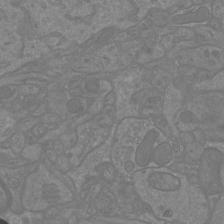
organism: Mouse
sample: Cortical neurons